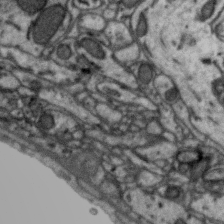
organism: Zebra finch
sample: Brain